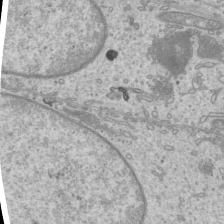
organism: Mouse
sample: Cilia; mouse epididymis